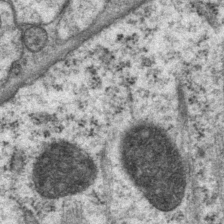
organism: P. pacificus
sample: Pharynx